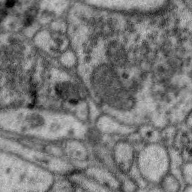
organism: Zebra finch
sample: Brain